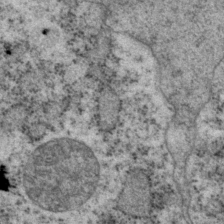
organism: P. pacificus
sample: Pharynx